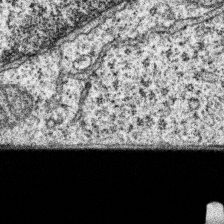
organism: Human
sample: HeLa cells